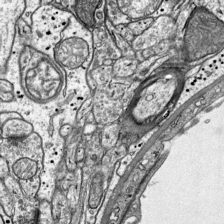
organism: Mouse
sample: Visual Cortex